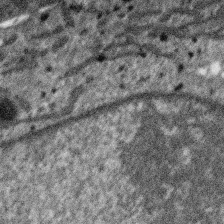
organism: Human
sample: Lung epithelial cells infected with SARS-CoV-2